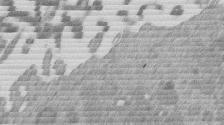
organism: Mouse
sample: Dividing mouse embryo 1 cell stage